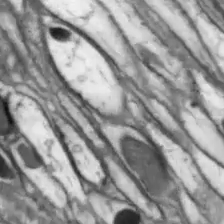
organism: Drosophila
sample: Optic lobe